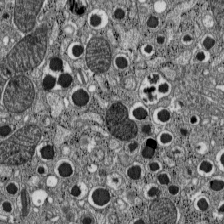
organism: C57BL Mouse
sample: Pancreatic islet